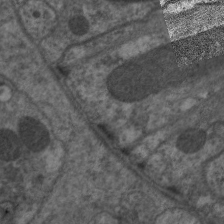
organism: C. elegans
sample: Pharynx